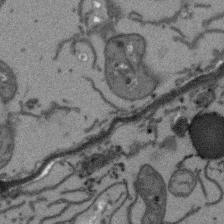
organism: Arabidopsis thaliana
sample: Root tip